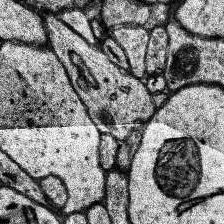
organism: Human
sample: Temporal Lobe